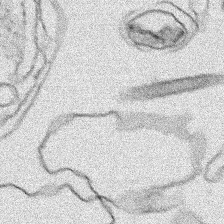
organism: Human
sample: Mitochondria in HCT116 cells